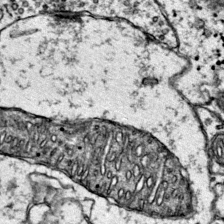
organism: Mouse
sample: Primary visual cortex